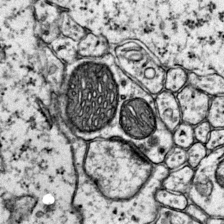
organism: Mouse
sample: Primary visual cortex